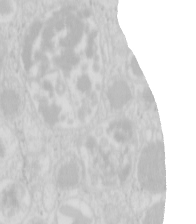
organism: Mouse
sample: Pancreas